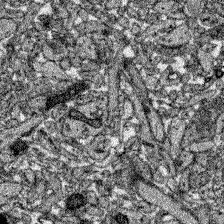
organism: Zebrafish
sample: Larval olfactory bulb